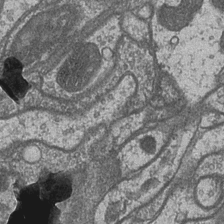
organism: Drosophila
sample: Optic medulla